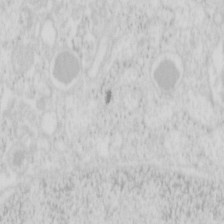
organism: Mouse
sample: Pancreas